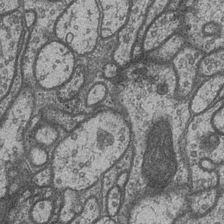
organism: Drosophila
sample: Optic medulla